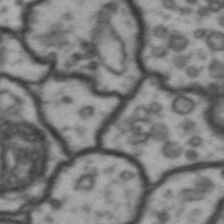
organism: Drosophila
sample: Brain